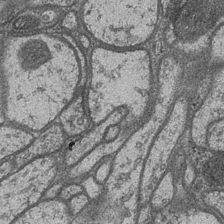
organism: Drosophila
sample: Optic medulla